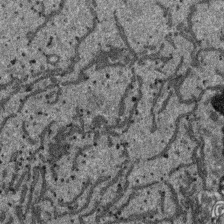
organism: Human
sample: Lung epithelial cells infected with SARS-CoV-2